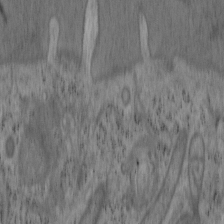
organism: Human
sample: HeLa cells